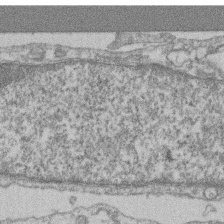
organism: Mouse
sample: T cell stromal cell synapse